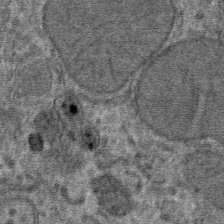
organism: Mouse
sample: Mouse hepatocytes